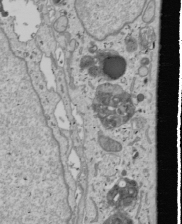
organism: Human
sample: Mitochondria in U2OS cells